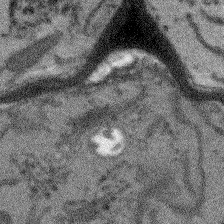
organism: Arabidopsis thaliana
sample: Root tip